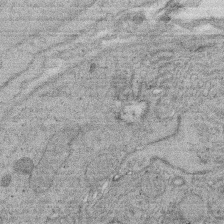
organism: Rat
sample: Salivary granule